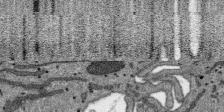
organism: Human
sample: Lung epithelial cells, uninfected (mock) control